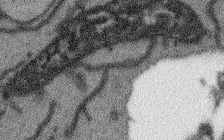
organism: Arabidopsis thaliana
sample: Root tip